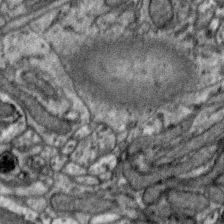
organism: Zebra finch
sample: Brain